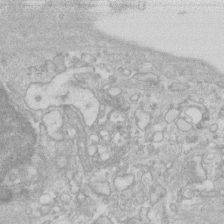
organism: Human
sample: Fibroblast cells